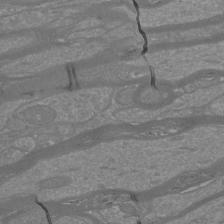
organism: Mouse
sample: Cortical neurons